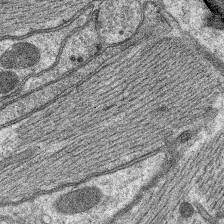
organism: C. elegans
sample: Pharynx